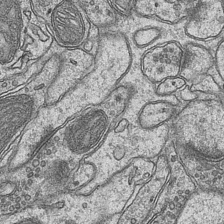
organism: Mouse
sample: CA1 Hippocampus